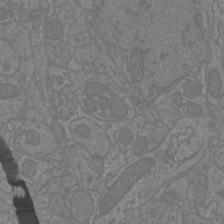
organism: Mouse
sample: Cortical neurons